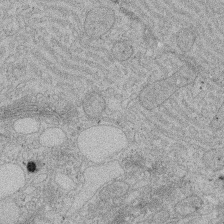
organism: Rat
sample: Salivary granule